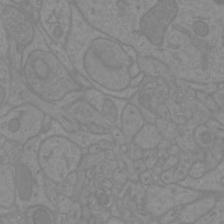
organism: Mouse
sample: Cortical neurons